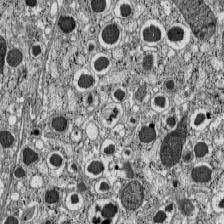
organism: C57BL Mouse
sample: Pancreatic islet